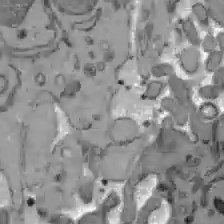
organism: C57BL Mouse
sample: Liver